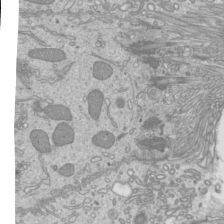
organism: Mouse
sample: Cilia; mouse epididymis